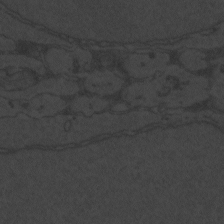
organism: Zebrafish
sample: Macrophage infected with Toxoplasma gondii